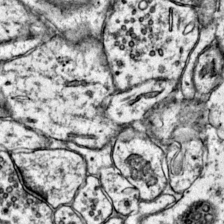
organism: Mouse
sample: Primary visual cortex